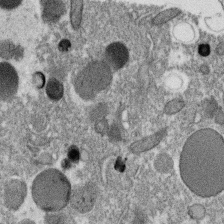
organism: C. elegans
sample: C. elegans oocyte; sperm cells